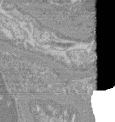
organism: Mouse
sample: Glomerulus